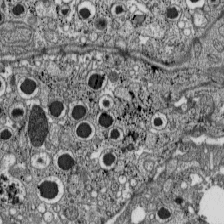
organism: C57BL Mouse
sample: Pancreatic islet